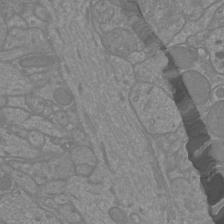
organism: Mouse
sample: Cortical neurons